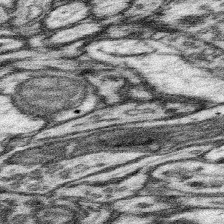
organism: Mouse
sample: Somatosensory cortex neuropil